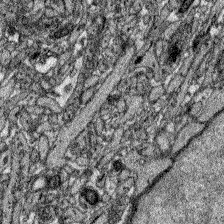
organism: Zebrafish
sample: Larval olfactory bulb